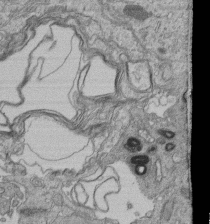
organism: Human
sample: Retinal organoid Rod and Cone cells